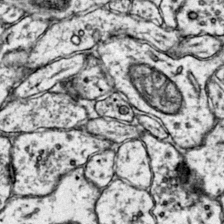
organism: Mouse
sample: Primary visual cortex